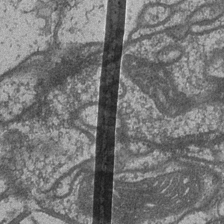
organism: Drosophila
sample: Optic medulla